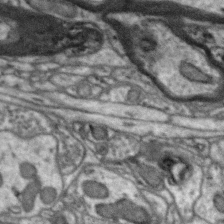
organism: Zebra finch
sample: Brain